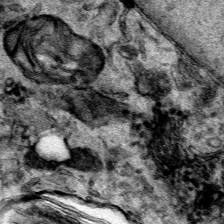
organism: Human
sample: Mitochondria in HCT116 cells